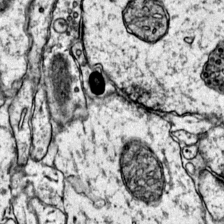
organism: Mouse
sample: Primary visual cortex